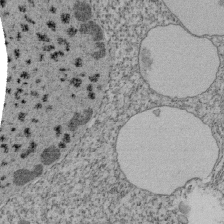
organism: Tetrahymena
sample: Cilia in tetrahymena